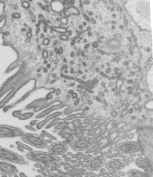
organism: Mouse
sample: Mouse epididymis efferent ductule cilia